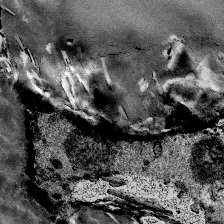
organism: Mouse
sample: Mouse Salivary gland